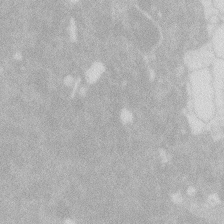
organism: Zebrafish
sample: Macrophage